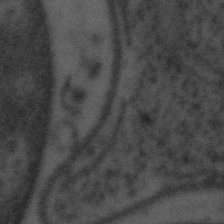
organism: Tuwongella immobilis